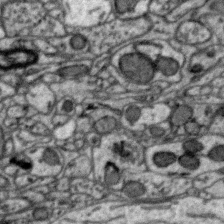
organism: Zebra finch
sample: Brain